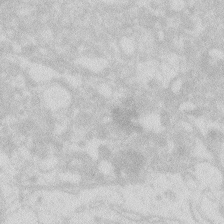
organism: Zebrafish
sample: Macrophage